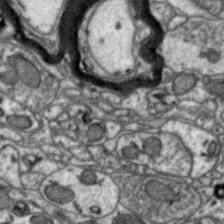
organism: Zebra finch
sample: Brain